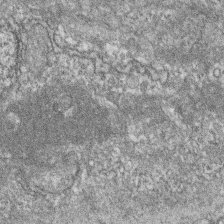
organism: Zebrafish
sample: Cilia; retinal pigment epithelium